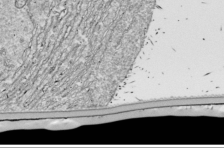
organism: Drosophila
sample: Cell division; meiosis; drosophila spermatocytes